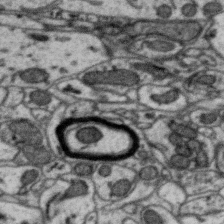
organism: Zebra finch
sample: Brain